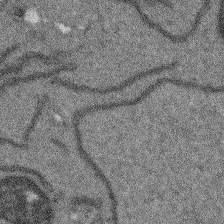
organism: Arabidopsis thaliana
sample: Root tip